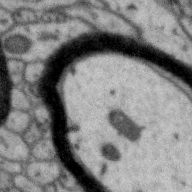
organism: Zebra finch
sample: Brain